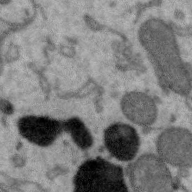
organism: Zebra finch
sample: Brain